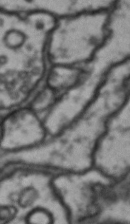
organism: Drosophila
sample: Brain